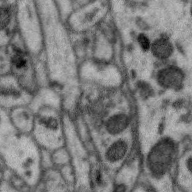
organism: Zebra finch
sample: Brain